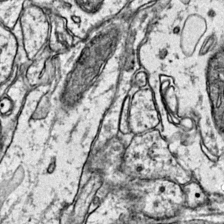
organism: Mouse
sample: Primary visual cortex